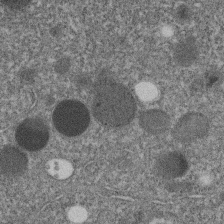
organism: C. elegans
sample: C. elegans embryo early stage